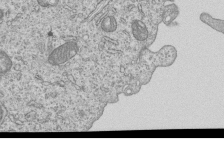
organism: Human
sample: MDA-MB-231 cells